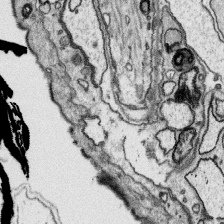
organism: Platynereis dumerilii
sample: Parapodia